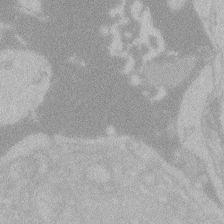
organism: Zebrafish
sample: Macrophage infected with Toxoplasma gondii